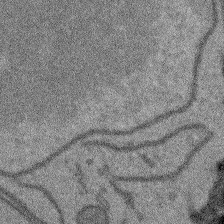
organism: Arabidopsis thaliana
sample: Root tip